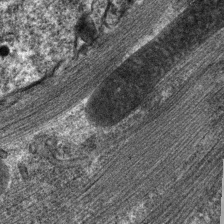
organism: C. elegans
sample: Pharynx